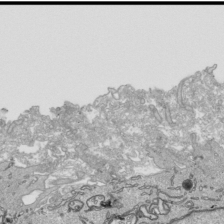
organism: Human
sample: Mitochondria in HCT116 cells